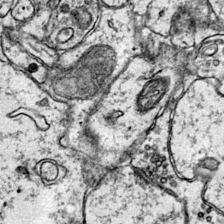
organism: Mouse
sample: Primary visual cortex